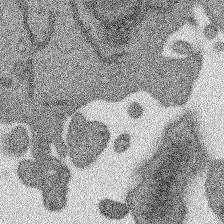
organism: Human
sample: HeLa cells